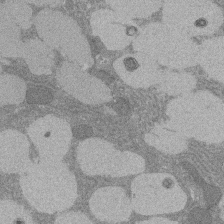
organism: Rat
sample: Salivary granule